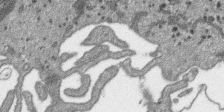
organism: Human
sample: Lung epithelial cells infected with SARS-CoV-2